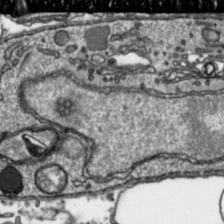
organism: Toxoplasma gondii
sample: Parasites in a vacuole inside a host cell